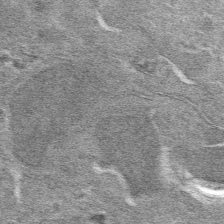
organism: Mouse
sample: Mouse hepatocytes